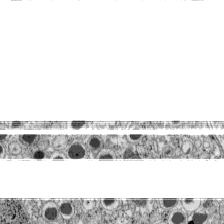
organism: C57BL Mouse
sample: Pancreatic islet